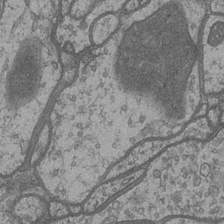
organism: Drosophila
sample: Optic medulla